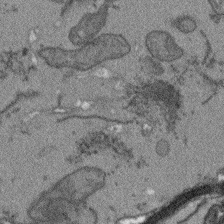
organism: Arabidopsis thaliana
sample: Root tip